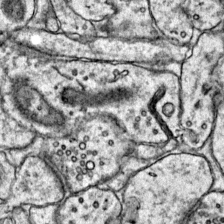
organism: Mouse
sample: Primary visual cortex